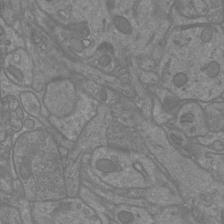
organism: Mouse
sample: Cortical neurons